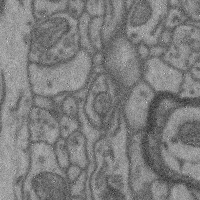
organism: Mouse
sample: Cerebral cortex